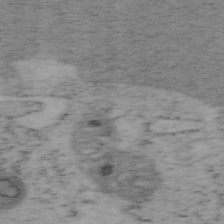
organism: Mouse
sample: OT-I killer T cells with ID8 ovarian cancer cells